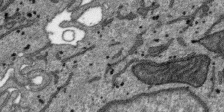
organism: Human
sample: Lung epithelial cells, uninfected (mock) control